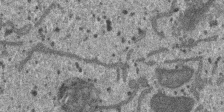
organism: Human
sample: Lung epithelial cells infected with SARS-CoV-2